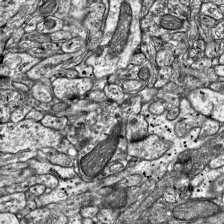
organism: Mouse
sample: Visual Cortex